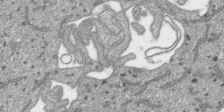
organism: Human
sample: Lung epithelial cells infected with SARS-CoV-2